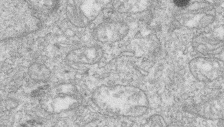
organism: Human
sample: HeLa cell HIV synapse